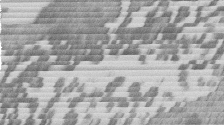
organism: Mouse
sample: Dividing mouse embryo 1 cell stage